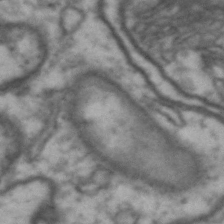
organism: Drosophila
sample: Brain